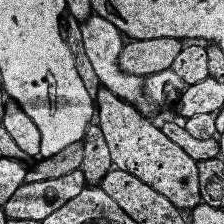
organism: Human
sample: Temporal Lobe